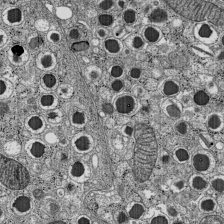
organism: C57BL Mouse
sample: Pancreatic islet